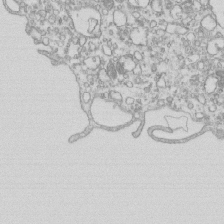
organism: Mouse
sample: Macrophages